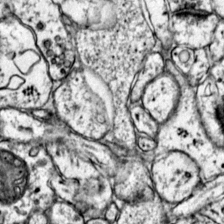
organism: Mouse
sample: Primary visual cortex